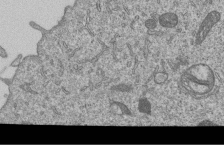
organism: Human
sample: MDA-MB-231 cells